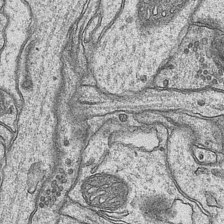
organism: Mouse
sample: CA1 Hippocampus